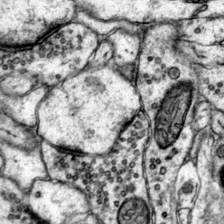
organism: Mouse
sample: Primary visual cortex